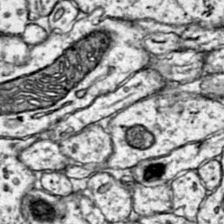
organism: Mouse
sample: Primary visual cortex